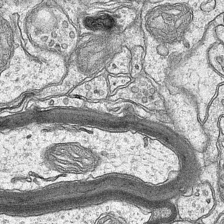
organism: Mouse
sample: CA1 Hippocampus